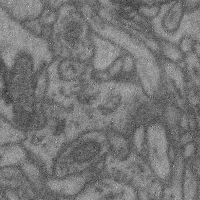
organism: Mouse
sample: Cerebral cortex